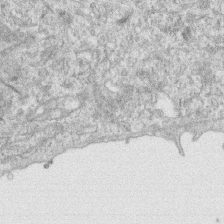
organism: Human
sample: HeLa cell HIV synapse